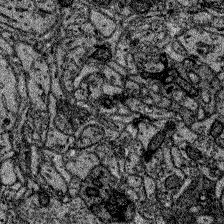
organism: Zebrafish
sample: Larval olfactory bulb